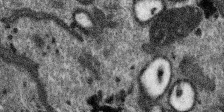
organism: Human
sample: Lung epithelial cells infected with SARS-CoV-2